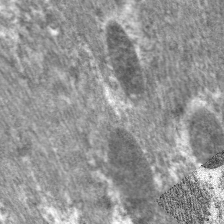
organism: C. elegans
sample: Pharynx